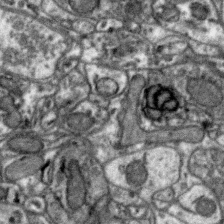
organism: Zebra finch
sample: Brain